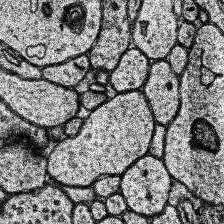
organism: Human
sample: Temporal Lobe